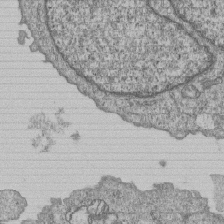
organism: Human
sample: MDA-MB-231 cells